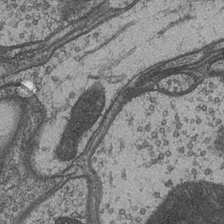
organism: Drosophila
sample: Optic medulla